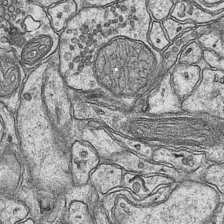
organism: Mouse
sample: CA1 Hippocampus